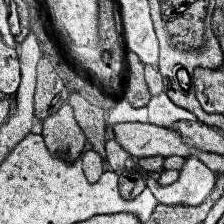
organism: Human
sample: Temporal Lobe